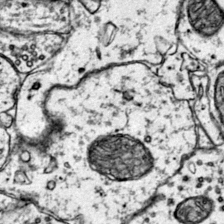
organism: Mouse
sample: Primary visual cortex